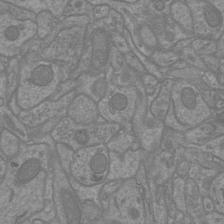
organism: Mouse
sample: Cortical neurons